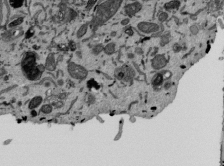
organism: Mouse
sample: ED-1 cell nuclei; centrioles